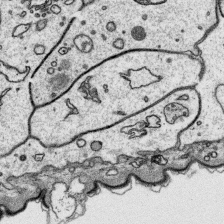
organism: Platynereis dumerilii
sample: Parapodia